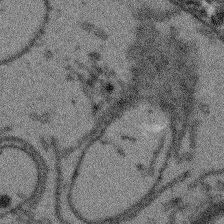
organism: Arabidopsis thaliana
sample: Root tip